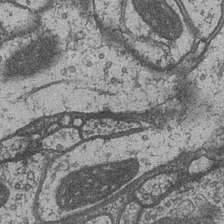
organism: Drosophila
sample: Optic medulla